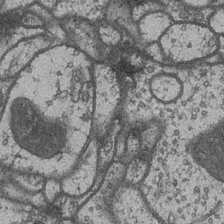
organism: Drosophila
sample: Optic medulla